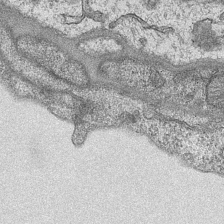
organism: Mouse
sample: CA1 Hippocampus